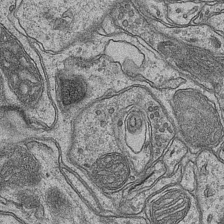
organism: Mouse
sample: CA1 Hippocampus